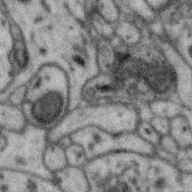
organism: Zebra finch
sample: Brain